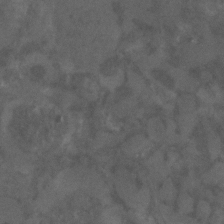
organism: C. elegans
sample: C. elegans embryo